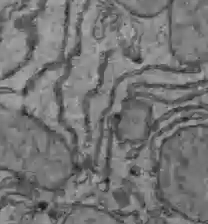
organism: C57BL Mouse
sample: Liver